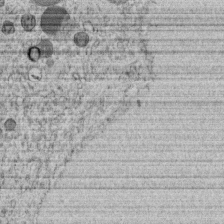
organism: C. elegans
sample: C. elegans embryo early stage